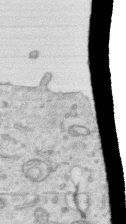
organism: Human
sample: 1205lu cells